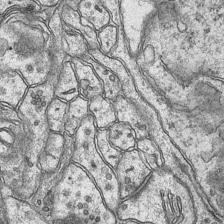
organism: Mouse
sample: CA1 Hippocampus